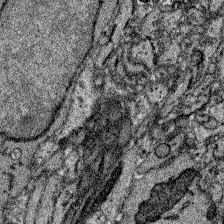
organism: Zebrafish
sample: Larval olfactory bulb